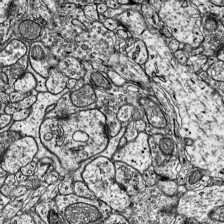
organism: Mouse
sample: Visual Cortex